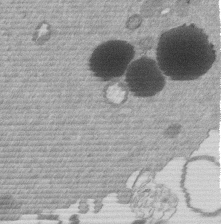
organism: Mouse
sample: Dividing mouse embryo 1 cell stage